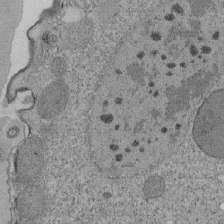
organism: Tetrahymena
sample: Cilia in tetrahymena